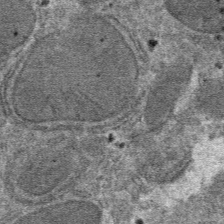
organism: Mouse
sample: Mouse hepatocytes